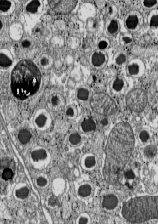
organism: C57BL Mouse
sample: Pancreatic islet